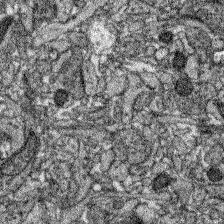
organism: Zebrafish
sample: Larval olfactory bulb